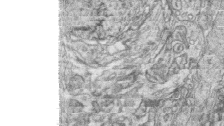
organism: Zebrafish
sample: synaptic ribbons in rod cells and cone cells